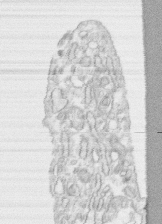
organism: Human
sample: CRL-1474